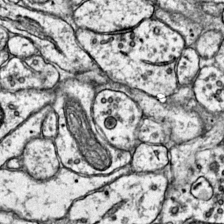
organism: Mouse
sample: Primary visual cortex